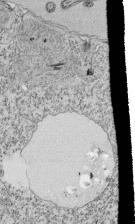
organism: Tetrahymena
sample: Cilia in tetrahymena